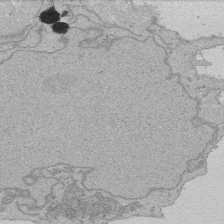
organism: Human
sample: Activated Jurkat CD4+ T cells